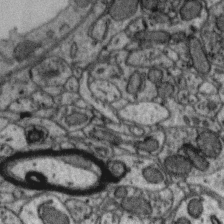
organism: Zebra finch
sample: Brain